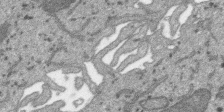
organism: Human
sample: Lung epithelial cells infected with SARS-CoV-2